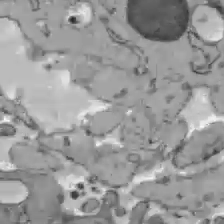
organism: C57BL Mouse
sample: Liver